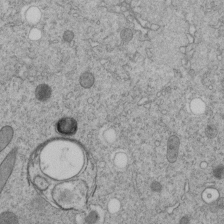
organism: C. elegans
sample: C. elegans embryo early stage